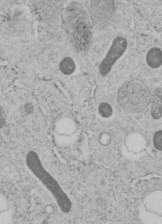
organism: C. elegans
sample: C. elegans embryo early stage